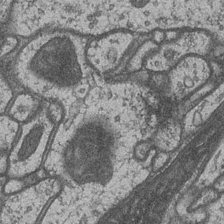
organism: Drosophila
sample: Optic medulla